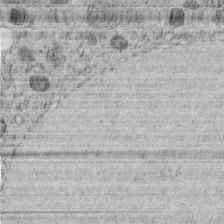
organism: C. elegans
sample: C. elegans embryo early stage